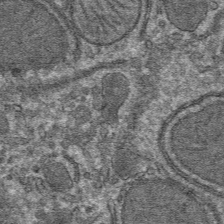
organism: Mouse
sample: Mouse hepatocytes